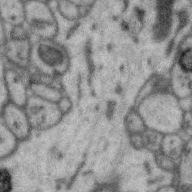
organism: Zebra finch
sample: Brain